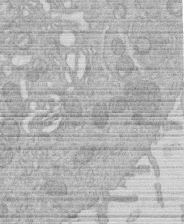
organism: Human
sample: Macrophage cells